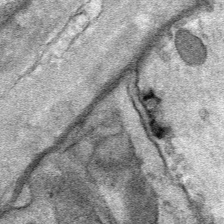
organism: Mouse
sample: Mouse Salivary gland